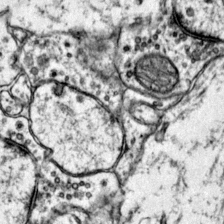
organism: Mouse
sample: Primary visual cortex